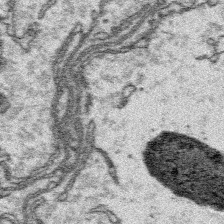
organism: Platynereis dumerilii